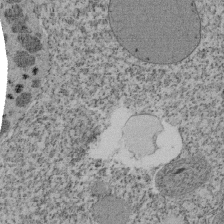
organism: Tetrahymena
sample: Cilia in tetrahymena